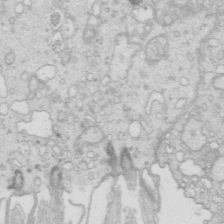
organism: Mouse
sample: Multiciliated cells